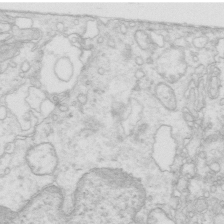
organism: Mouse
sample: Multiciliated cells